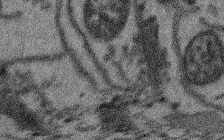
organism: Arabidopsis thaliana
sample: Root tip